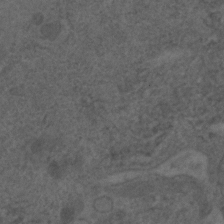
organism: C. elegans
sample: C. elegans embryo